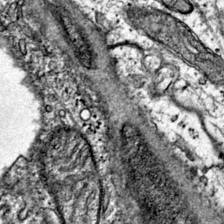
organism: Mouse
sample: Primary visual cortex